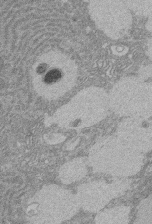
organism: Rat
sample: Salivary granule